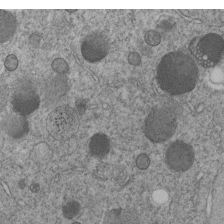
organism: C. elegans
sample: C. elegans embryo early stage